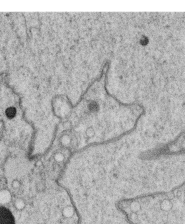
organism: C. elegans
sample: C. elegans oocyte; sperm cells